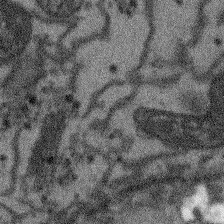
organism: Arabidopsis thaliana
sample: Root tip